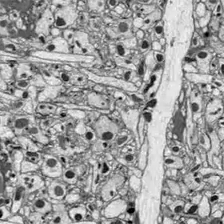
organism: Drosophila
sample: Optic lobe